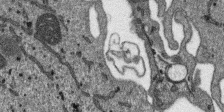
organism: Human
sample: Lung epithelial cells infected with SARS-CoV-2